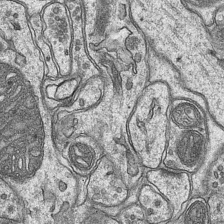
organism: Mouse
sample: CA1 Hippocampus